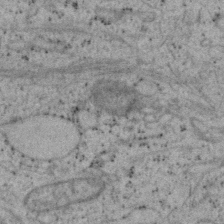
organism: Human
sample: HeLa cells